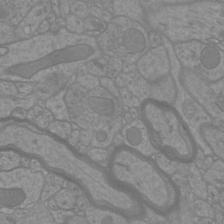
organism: Mouse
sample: Cortical neurons